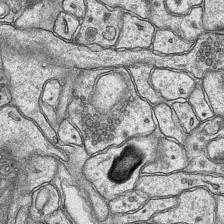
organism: Mouse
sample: CA1 Hippocampus